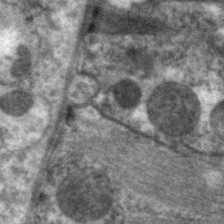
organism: C. elegans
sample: Pharynx